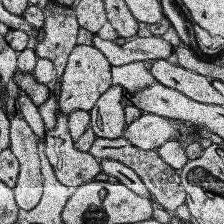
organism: Human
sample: Temporal Lobe